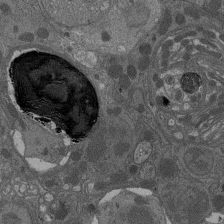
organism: Drosophila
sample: Antenna